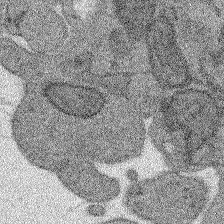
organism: Human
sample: HeLa cells